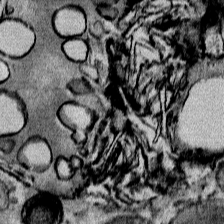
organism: Mouse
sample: Mouse Salivary gland